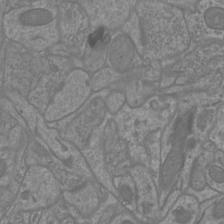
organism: Mouse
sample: Cortical neurons